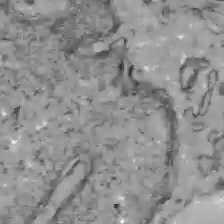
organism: C57BL Mouse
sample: Liver